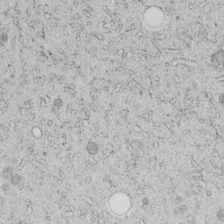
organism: C. elegans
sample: C. elegans embryo early stage